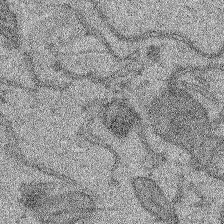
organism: Human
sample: HeLa cells